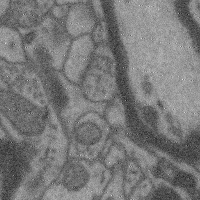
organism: Mouse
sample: Cerebral cortex